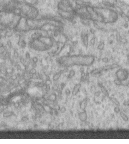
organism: Human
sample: Centriole in RPE cells